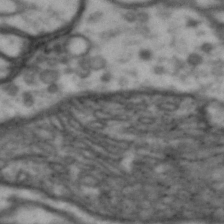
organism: Drosophila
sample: Brain